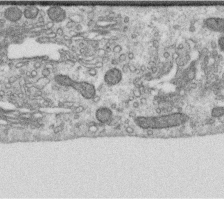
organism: Human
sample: Centriole in RPE cells